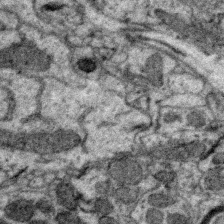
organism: Zebra finch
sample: Brain